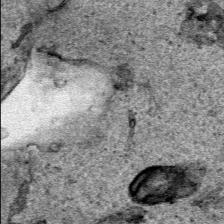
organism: Human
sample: Mitochondria in HCT116 cells